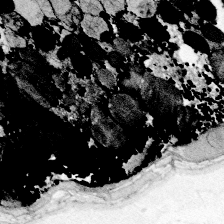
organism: Zebrafish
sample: Whole-Brain